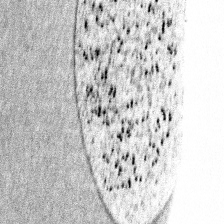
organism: Human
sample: HeLa cells